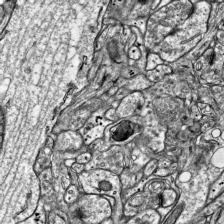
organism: Mouse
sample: Visual Cortex